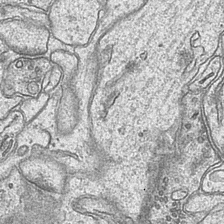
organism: Mouse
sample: CA1 Hippocampus